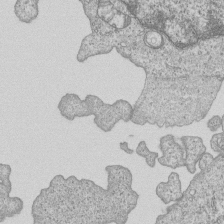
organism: Human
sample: MDA-MB-231 cells